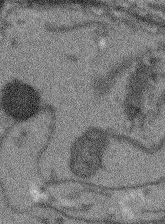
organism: Arabidopsis thaliana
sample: Root tip